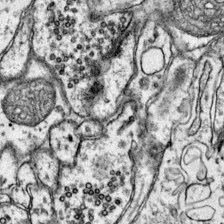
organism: Mouse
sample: Primary visual cortex